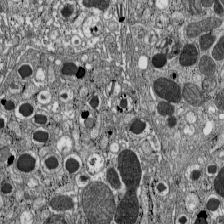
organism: C57BL Mouse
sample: Pancreatic islet